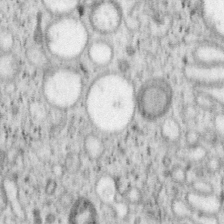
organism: Mouse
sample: OT-I killer T cells with ID8 ovarian cancer cells